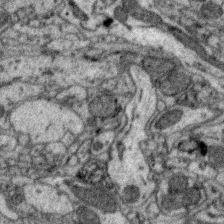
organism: Zebra finch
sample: Brain